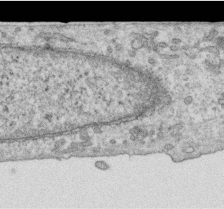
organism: Human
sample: Centriole in RPE cells